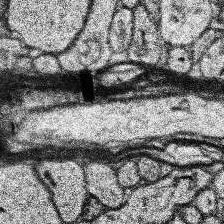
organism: Human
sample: Temporal Lobe